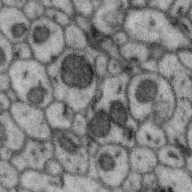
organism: Zebra finch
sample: Brain